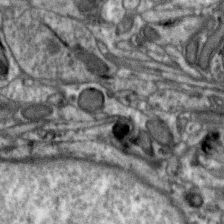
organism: Zebra finch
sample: Brain